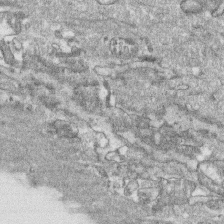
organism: Human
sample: CRL-1474